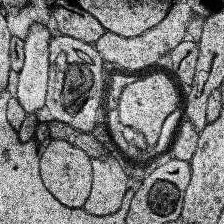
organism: Human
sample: Temporal Lobe